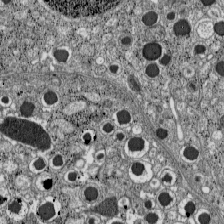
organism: C57BL Mouse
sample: Pancreatic islet